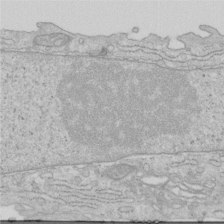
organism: Human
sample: Centriole in RPE cells